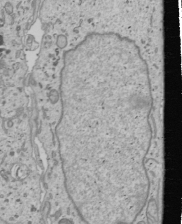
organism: Human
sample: Mitochondria in U2OS cells